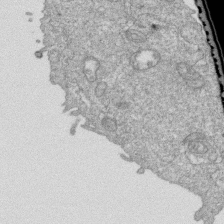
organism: Human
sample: HeLa cell HIV synapse